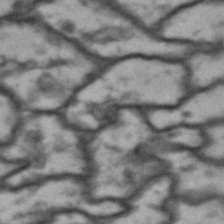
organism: Drosophila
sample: Brain